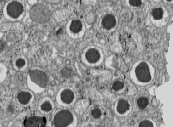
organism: C57BL Mouse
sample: Pancreatic islet